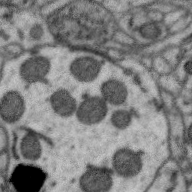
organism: Zebra finch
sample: Brain